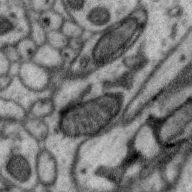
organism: Zebra finch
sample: Brain